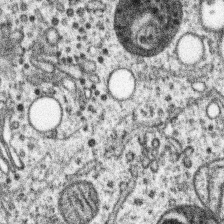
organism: Human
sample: HeLa cells